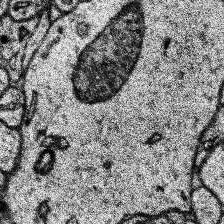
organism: Human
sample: Temporal Lobe